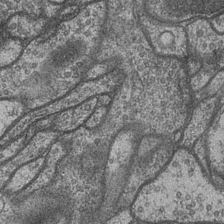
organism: Drosophila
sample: Optic medulla